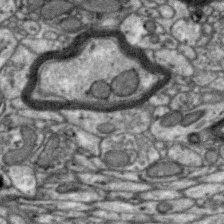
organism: Zebra finch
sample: Brain